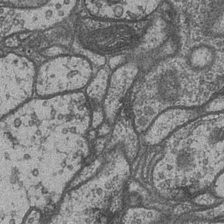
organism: Drosophila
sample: Optic medulla